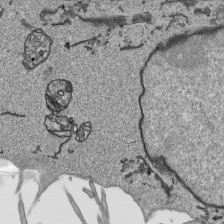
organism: Human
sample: Mitochondria in HCT116 cells